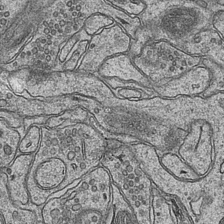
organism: Mouse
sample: CA1 Hippocampus